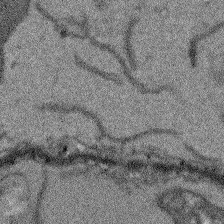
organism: Arabidopsis thaliana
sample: Root tip